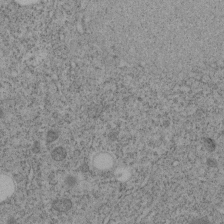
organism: C. elegans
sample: C. elegans embryo early stage